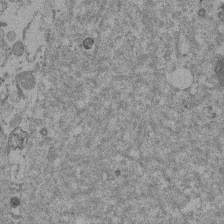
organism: Mouse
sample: Dividing mouse embryo 1 cell stage